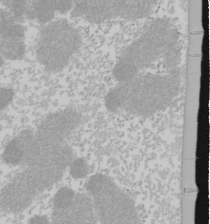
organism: Mouse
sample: Cancer cell death in ED-1 cells